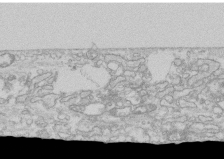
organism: Human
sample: CRL-1474